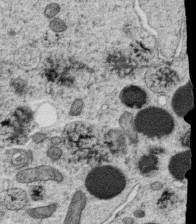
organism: C. elegans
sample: C. elegans oocyte; sperm cells